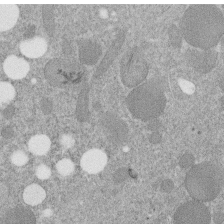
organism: C. elegans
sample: C. elegans embryo early stage